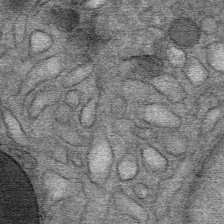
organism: Mouse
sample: Mouse Salivary gland